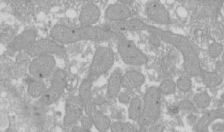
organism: Xenopus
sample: Cilia; centrioles in frog embryo cells